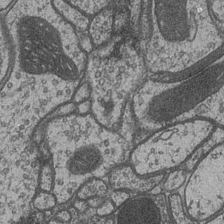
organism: Drosophila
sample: Optic medulla